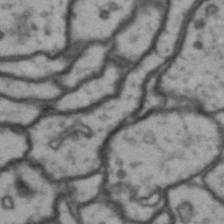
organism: Drosophila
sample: Brain